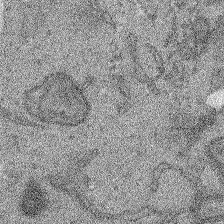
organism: Human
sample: HeLa cells